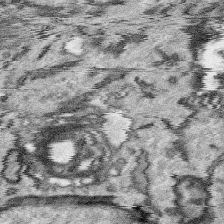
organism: Human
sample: HeLa cells